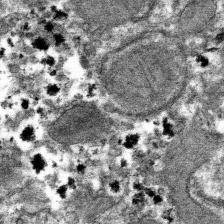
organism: Mouse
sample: Mouse hepatocytes